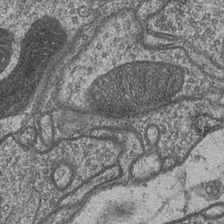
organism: Drosophila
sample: Optic medulla